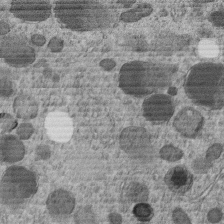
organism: C. elegans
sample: C. elegans embryo early stage